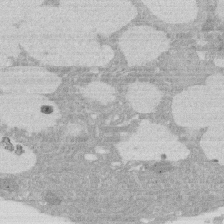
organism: Rat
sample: Salivary granule